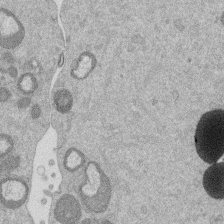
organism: Mouse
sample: Dividing mouse embryo 1 cell stage